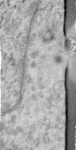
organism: Human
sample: Centriole in RPE cells